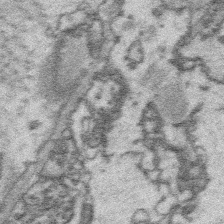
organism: Platynereis dumerilii